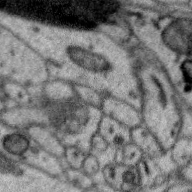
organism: Zebra finch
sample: Brain